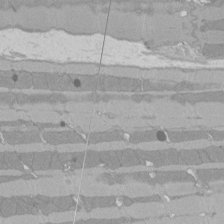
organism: Rat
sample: Left ventricle